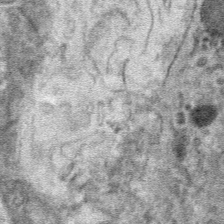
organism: Mouse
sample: Mouse hepatocytes